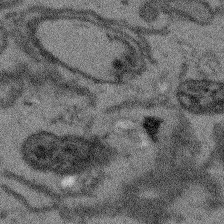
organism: Arabidopsis thaliana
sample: Root tip